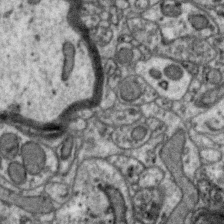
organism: Zebra finch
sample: Brain